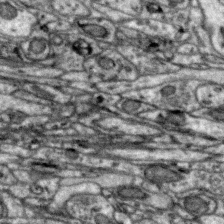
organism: Zebra finch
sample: Brain